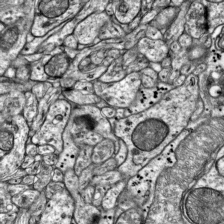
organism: Mouse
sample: Visual Cortex